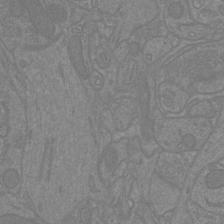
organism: Mouse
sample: Cortical neurons